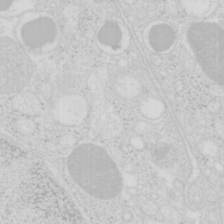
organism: Mouse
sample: Pancreas